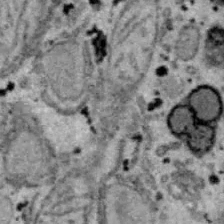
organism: Mouse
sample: Liver from an obese (ob/ob) mouse